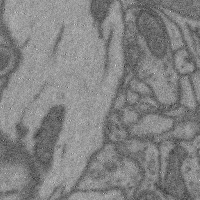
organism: Mouse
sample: Cerebral cortex